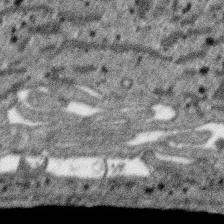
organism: Human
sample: Lung epithelial cells infected with SARS-CoV-2